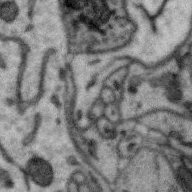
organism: Zebra finch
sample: Brain